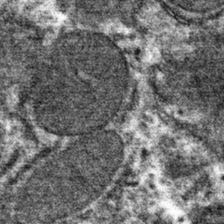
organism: Mouse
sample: Mouse hepatocytes